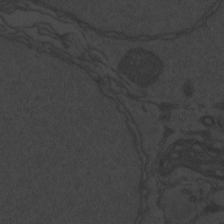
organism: Zebrafish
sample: Macrophage infected with Toxoplasma gondii